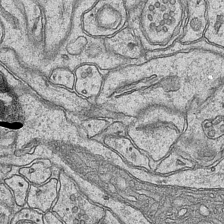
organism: Mouse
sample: CA1 Hippocampus